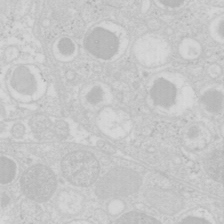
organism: Mouse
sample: Pancreas